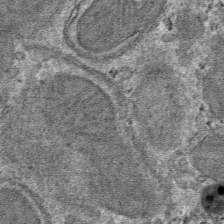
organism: Mouse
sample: Mouse hepatocytes